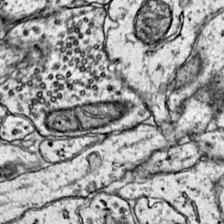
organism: Mouse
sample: Primary visual cortex